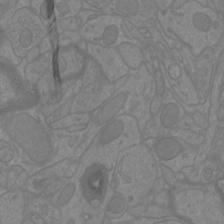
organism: Mouse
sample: Cortical neurons